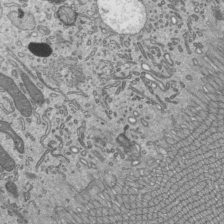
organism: Mouse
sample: Mouse epididymis efferent ductule cilia